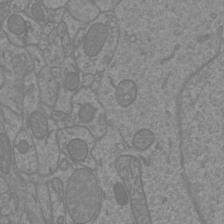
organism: Mouse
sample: Cortical neurons